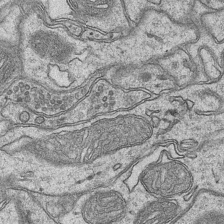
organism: Mouse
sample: CA1 Hippocampus